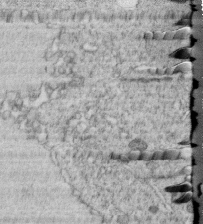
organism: C. elegans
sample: C. elegans embryo early stage